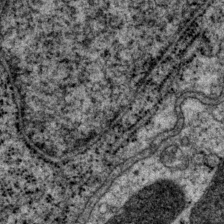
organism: P. pacificus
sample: Pharynx